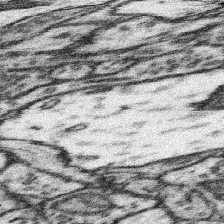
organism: Mouse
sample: Somatosensory cortex neuropil